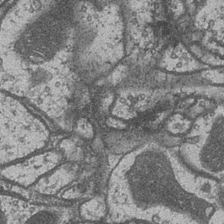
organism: Drosophila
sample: Optic medulla